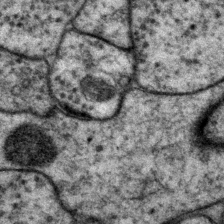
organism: P. pacificus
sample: Pharynx